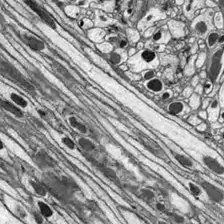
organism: Drosophila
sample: Optic lobe